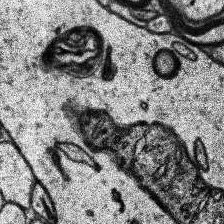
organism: Human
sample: Temporal Lobe